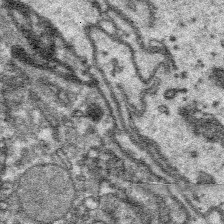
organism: Platynereis dumerilii